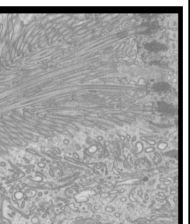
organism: Mouse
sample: Cilia; mouse epididymis